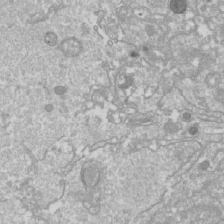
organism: Drosophila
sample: Cell division; meiosis; drosophila spermatocytes